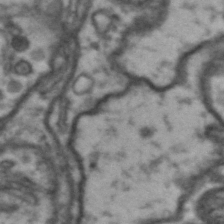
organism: Drosophila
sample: Brain